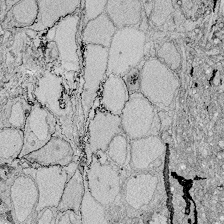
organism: Zebrafish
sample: Whole-Brain